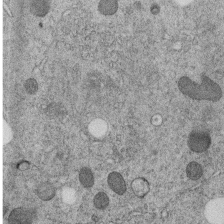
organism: C. elegans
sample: C. elegans embryo early stage